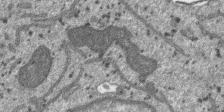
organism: Human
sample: Lung epithelial cells infected with SARS-CoV-2